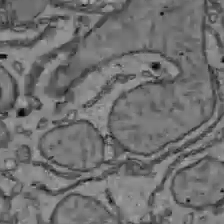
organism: C57BL Mouse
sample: Liver